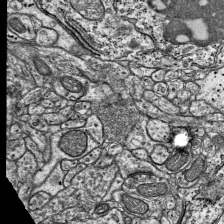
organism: Mouse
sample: Visual Cortex